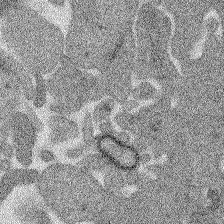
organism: Human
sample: HeLa cells